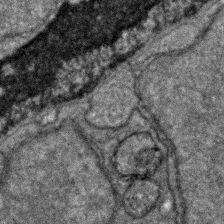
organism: Zebrafish